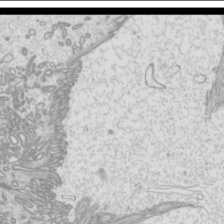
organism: Mouse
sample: Cilia; mouse epididymis